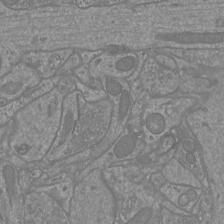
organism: Mouse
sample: Cortical neurons